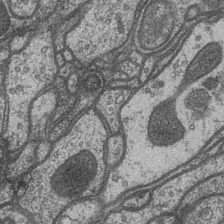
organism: Drosophila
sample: Optic medulla